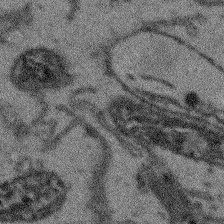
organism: Arabidopsis thaliana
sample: Root tip